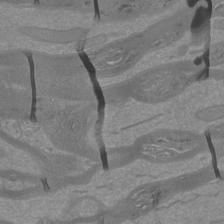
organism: Mouse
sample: Cortical neurons